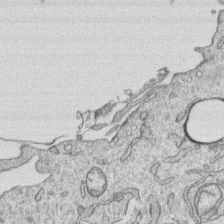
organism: Human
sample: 1205lu cells